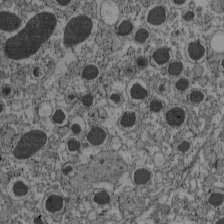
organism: C57BL Mouse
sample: Pancreatic islet